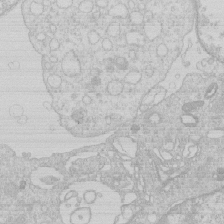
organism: Human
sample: Macrophage cells